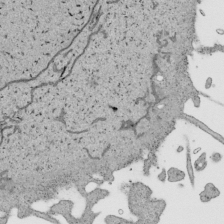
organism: Human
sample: Mitochondria in HCT116 cells